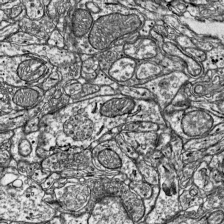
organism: Mouse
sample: Visual Cortex